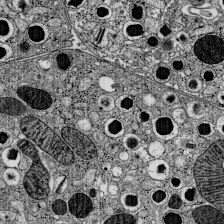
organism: C57BL Mouse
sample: Pancreatic islet